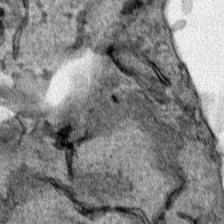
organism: Human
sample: Mitochondria in HCT116 cells